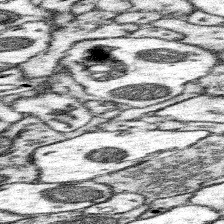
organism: Mouse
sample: Somatosensory cortex neuropil